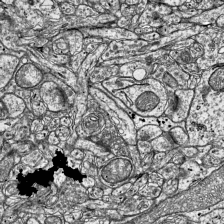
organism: Mouse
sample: Visual Cortex